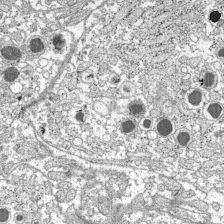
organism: C57BL Mouse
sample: Pancreatic islet